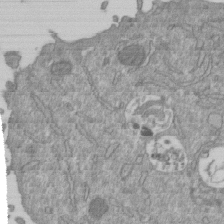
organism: Mouse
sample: ED-1 cell nuclei; centrioles